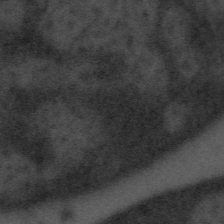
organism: Tuwongella immobilis